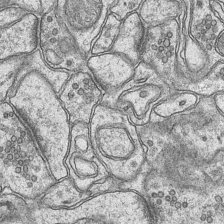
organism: Mouse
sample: CA1 Hippocampus